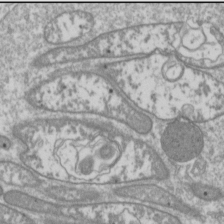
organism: Drosophila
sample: Cell division; meiosis; drosophila spermatocytes